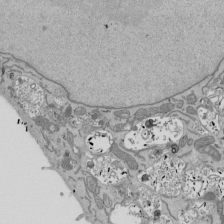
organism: Mouse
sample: ED-1 cell nuclei; centrioles